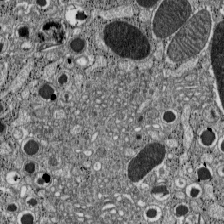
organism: C57BL Mouse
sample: Pancreatic islet